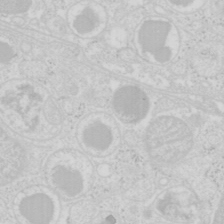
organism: Mouse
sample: Pancreas